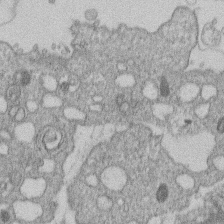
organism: Human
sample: Macrophage cells